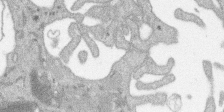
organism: Human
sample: Lung epithelial cells infected with SARS-CoV-2